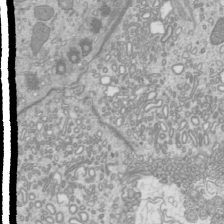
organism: Mouse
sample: Cilia; mouse epididymis